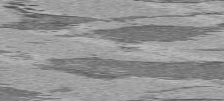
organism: C57BL Mouse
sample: Heart